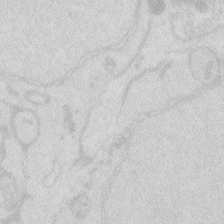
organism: Zebrafish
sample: Macrophage